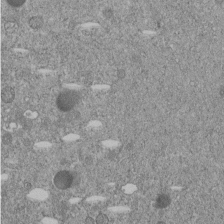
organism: C. elegans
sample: C. elegans embryo early stage